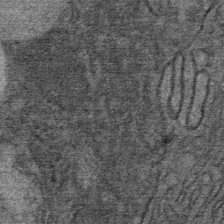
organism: Mouse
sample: Mouse Salivary gland